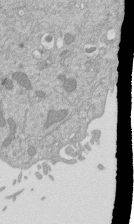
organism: Mouse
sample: ED-1 cell nuclei; centrioles